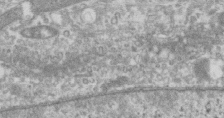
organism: Human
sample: Centriole in RPE cells